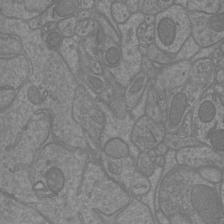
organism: Mouse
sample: Cortical neurons